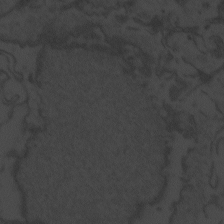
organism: Zebrafish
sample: Macrophage infected with Toxoplasma gondii